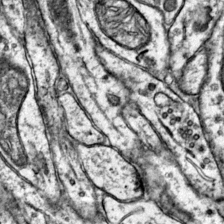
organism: Mouse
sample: Primary visual cortex